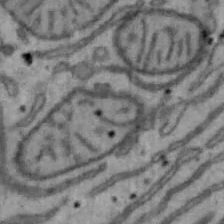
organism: Mouse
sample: Liver